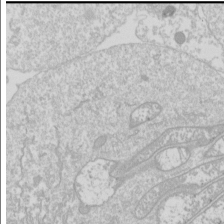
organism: Drosophila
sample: Cell division; meiosis; drosophila spermatocytes